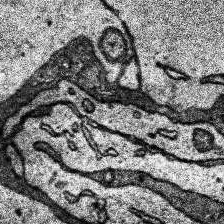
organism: Human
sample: Temporal Lobe